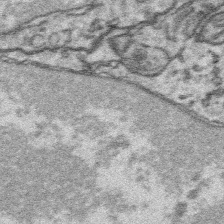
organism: Platynereis dumerilii